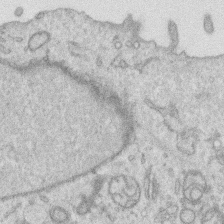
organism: Human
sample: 1205lu cells